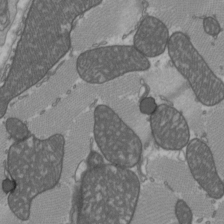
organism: C57BL Mouse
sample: Heart